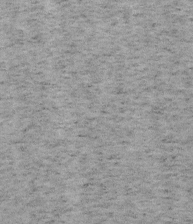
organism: Mouse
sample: OT-I killer T cells with ID8 ovarian cancer cells